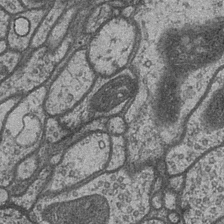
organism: Drosophila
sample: Optic medulla